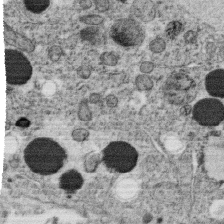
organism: C. elegans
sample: C. elegans oocyte; sperm cells